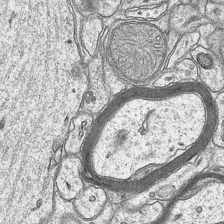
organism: Mouse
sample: CA1 Hippocampus